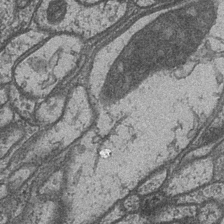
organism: Drosophila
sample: Optic medulla